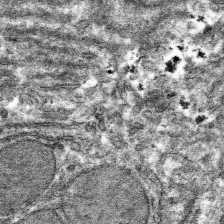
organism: Mouse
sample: Mouse hepatocytes